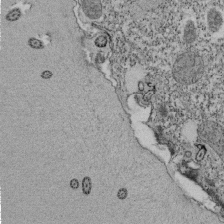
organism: Tetrahymena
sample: Cilia in tetrahymena